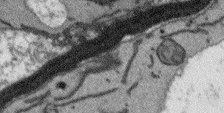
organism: Arabidopsis thaliana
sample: Root tip